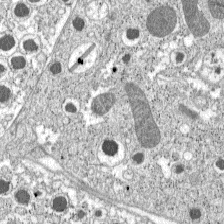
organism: C57BL Mouse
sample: Pancreatic islet